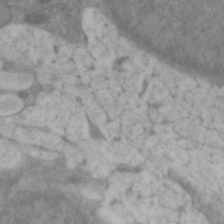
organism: Zebrafish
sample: Zebrafish embryo